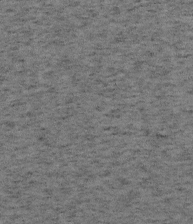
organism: Mouse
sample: OT-I killer T cells with ID8 ovarian cancer cells